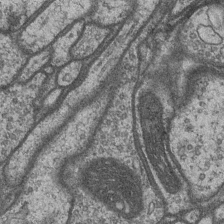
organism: Drosophila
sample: Optic medulla